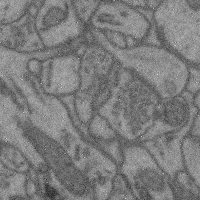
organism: Mouse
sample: Cerebral cortex